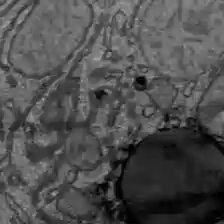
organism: C57BL Mouse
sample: Liver